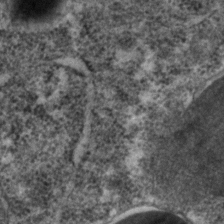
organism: C. elegans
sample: C. elegans embryo